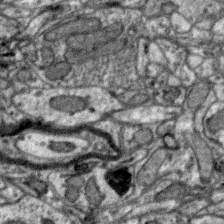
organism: Zebra finch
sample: Brain